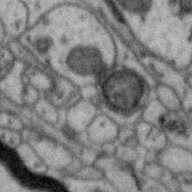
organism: Zebra finch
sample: Brain